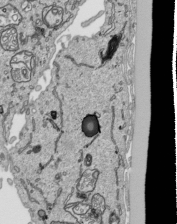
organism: Human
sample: Mitochondria in HCT116 cells